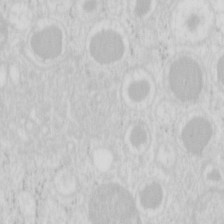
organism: Mouse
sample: Pancreas